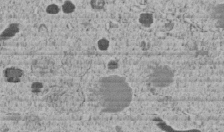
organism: C. elegans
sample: C. elegans embryo early stage